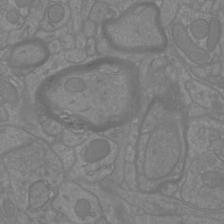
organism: Mouse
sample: Cortical neurons